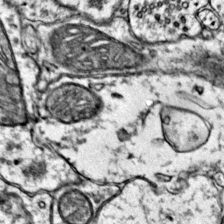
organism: Mouse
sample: Primary visual cortex